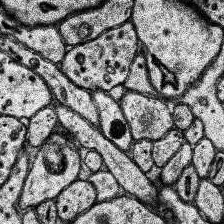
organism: Human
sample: Temporal Lobe